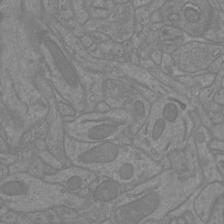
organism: Mouse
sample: Cortical neurons